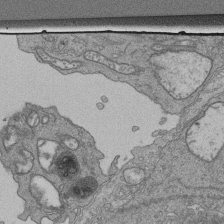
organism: Human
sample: Retinal organoid Rod and Cone cells